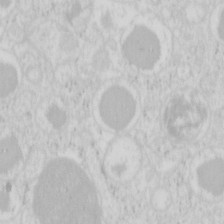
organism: Mouse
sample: Pancreas